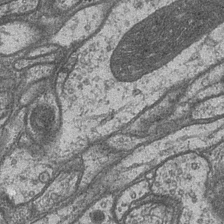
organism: Drosophila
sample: Optic medulla